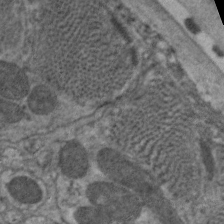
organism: C. elegans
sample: Pharynx